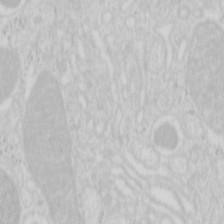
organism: Mouse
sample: Pancreas